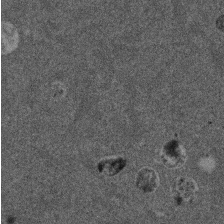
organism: Mouse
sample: Dividing mouse embryo 1 cell stage